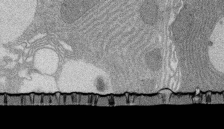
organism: Rat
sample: Salivary granule